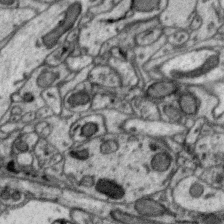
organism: Zebra finch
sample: Brain